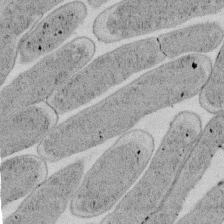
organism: E. coli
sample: Bacterial nucleoid